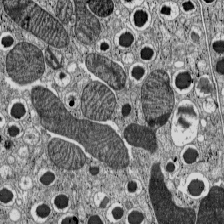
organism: C57BL Mouse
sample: Pancreatic islet